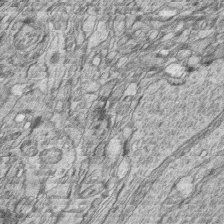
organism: Zebrafish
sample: synaptic ribbons in rod cells and cone cells